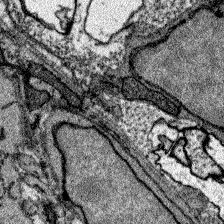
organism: Zebrafish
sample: Larval olfactory bulb